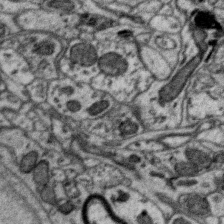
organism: Zebra finch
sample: Brain